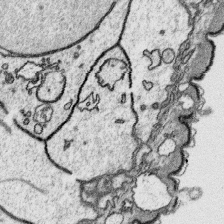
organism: Platynereis dumerilii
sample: Parapodia